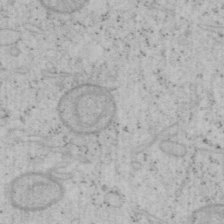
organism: Human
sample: HeLa cells